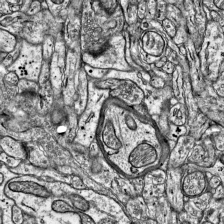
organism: Mouse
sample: Visual Cortex